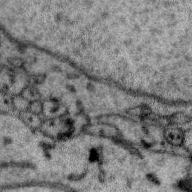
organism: Zebra finch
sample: Brain